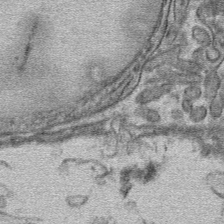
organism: Mouse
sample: Mouse hepatocytes